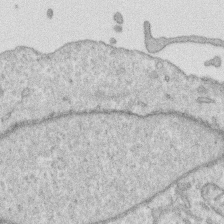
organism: Human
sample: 1205lu cells